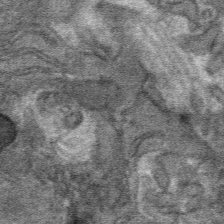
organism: Mouse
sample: Mouse hepatocytes